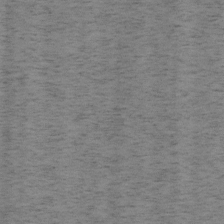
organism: Mouse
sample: OT-I killer T cells with ID8 ovarian cancer cells